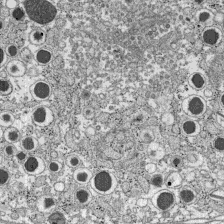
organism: C57BL Mouse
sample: Pancreatic islet